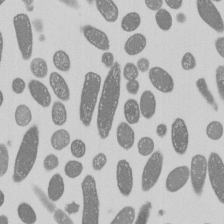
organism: E. coli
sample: Bacterial nucleoid